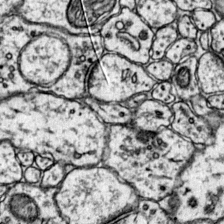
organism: Mouse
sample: Primary visual cortex